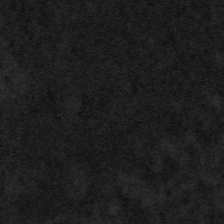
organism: Tuwongella immobilis